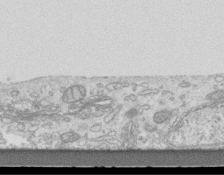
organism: Mouse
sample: Centriole in ependymal cells